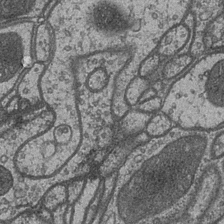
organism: Drosophila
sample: Optic medulla